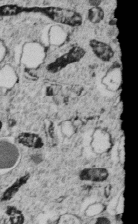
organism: C. elegans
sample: C. elegans embryo early stage